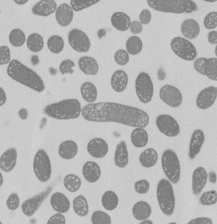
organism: E. coli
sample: Bacterial nucleoid